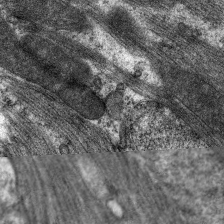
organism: C. elegans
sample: Pharynx